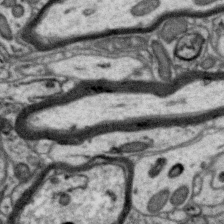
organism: Zebra finch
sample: Brain